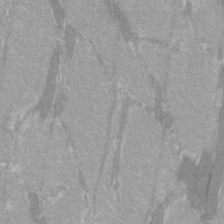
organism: C57BL Mouse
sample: Tibialis anterior muscle cell